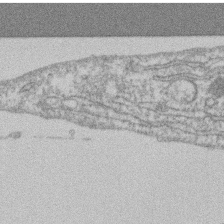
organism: Mouse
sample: T cell stromal cell synapse